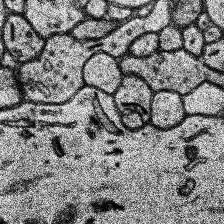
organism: Human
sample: Temporal Lobe